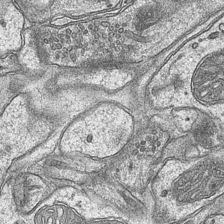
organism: Mouse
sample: CA1 Hippocampus